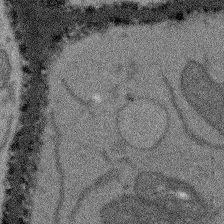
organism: Arabidopsis thaliana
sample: Root tip